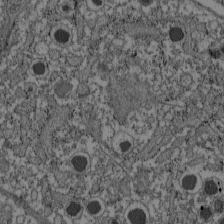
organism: C57BL Mouse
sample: Pancreatic islet